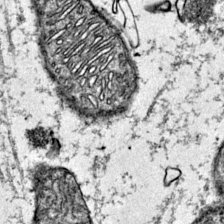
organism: Mouse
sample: Primary visual cortex